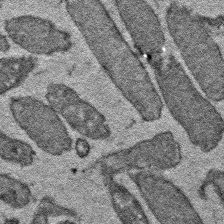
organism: E. coli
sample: E. Coli Bacteria